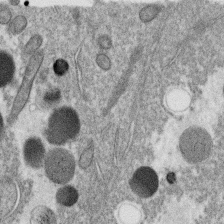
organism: C. elegans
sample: C. elegans oocyte; sperm cells